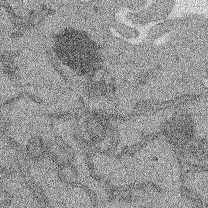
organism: Human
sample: HeLa cells